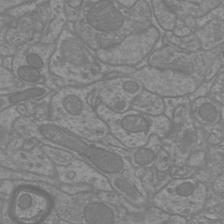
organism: Mouse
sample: Cortical neurons